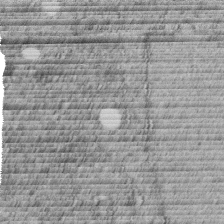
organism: C. elegans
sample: C. elegans embryo early stage